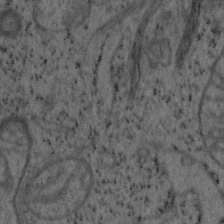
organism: Human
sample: HeLa cells